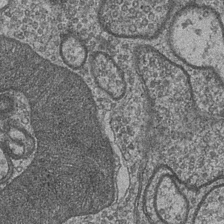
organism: Drosophila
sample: Optic medulla